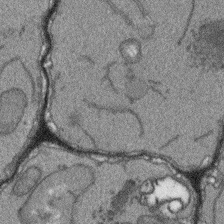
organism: Arabidopsis thaliana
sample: Root tip